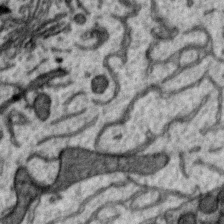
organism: Zebra finch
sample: Brain